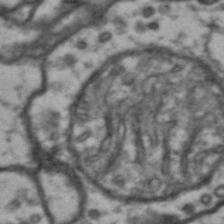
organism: Drosophila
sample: Brain